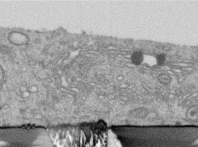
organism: Human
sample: Centriole in RPE cells